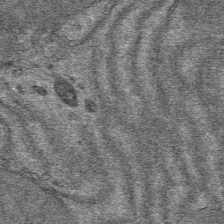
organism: Mouse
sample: Mouse hepatocytes